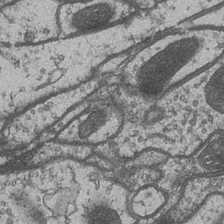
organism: Drosophila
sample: Optic medulla